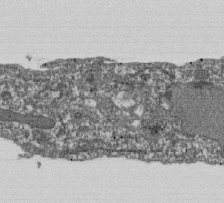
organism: Dictyostelium discoideum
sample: Dictyostelium multivesicular bodies